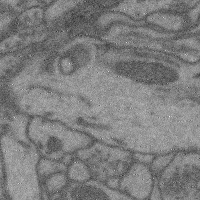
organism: Mouse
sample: Cerebral cortex